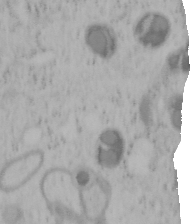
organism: Mouse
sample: OT-I killer T cells with ID8 ovarian cancer cells